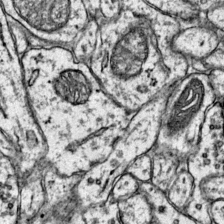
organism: Mouse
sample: Primary visual cortex